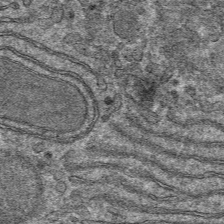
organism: Mouse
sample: Mouse hepatocytes